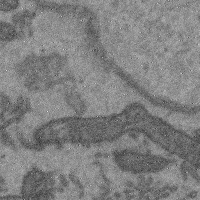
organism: Mouse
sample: Cerebral cortex